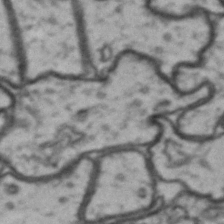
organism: Drosophila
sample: Brain